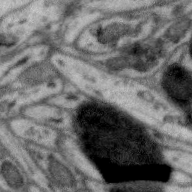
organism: Zebra finch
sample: Brain